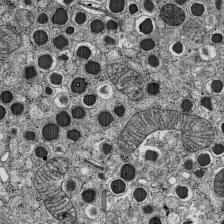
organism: C57BL Mouse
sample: Pancreatic islet